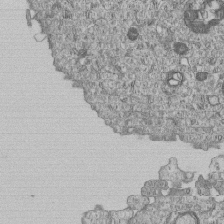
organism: Human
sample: MDA-MB-231 cells